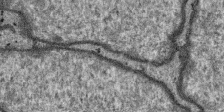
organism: Human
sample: Lung epithelial cells, uninfected (mock) control